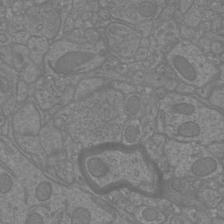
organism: Mouse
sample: Cortical neurons